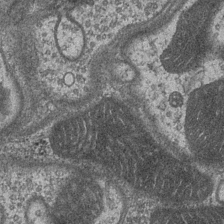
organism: Drosophila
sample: Optic medulla